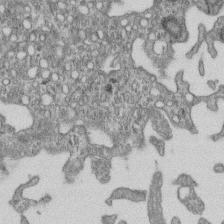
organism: Mouse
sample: Centriole in ependymal cells